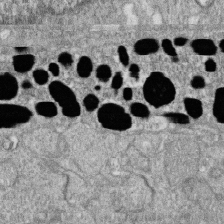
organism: Zebrafish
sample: Cilia; retinal pigment epithelium